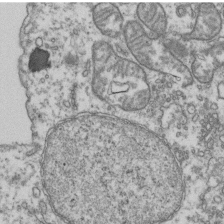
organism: Human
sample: Activated Jurkat CD4+ T cells